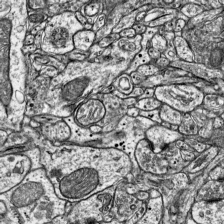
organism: Mouse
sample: Visual Cortex